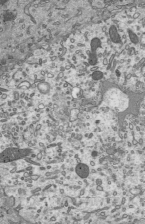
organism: Mouse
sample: Mouse epididymis efferent ductule cilia